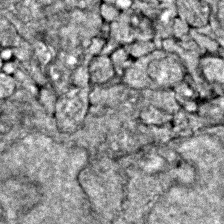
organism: Zebrafish